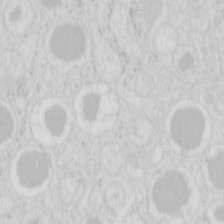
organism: Mouse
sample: Pancreas